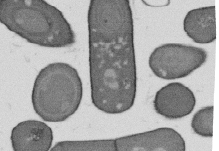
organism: B. subtilis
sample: Bacterial spore